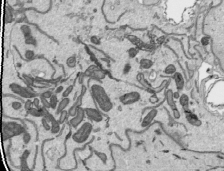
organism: Human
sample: Mitochondria in HCT116 cells